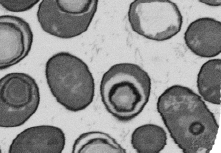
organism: B. subtilis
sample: Bacterial spore